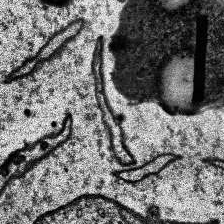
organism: Human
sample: Temporal Lobe